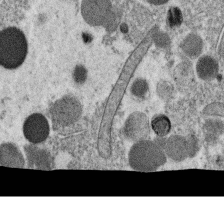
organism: C. elegans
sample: C. elegans oocyte; sperm cells